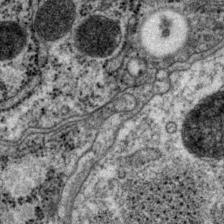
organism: P. pacificus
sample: Pharynx